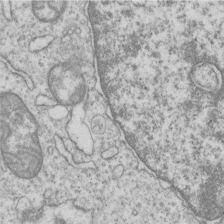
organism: Human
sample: MDA-MB-231 cells